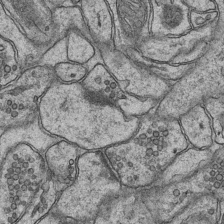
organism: Mouse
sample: CA1 Hippocampus